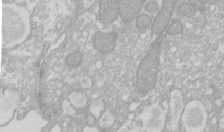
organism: Xenopus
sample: Cilia; centrioles in frog embryo cells